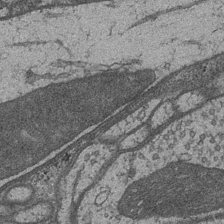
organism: Drosophila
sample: Optic medulla